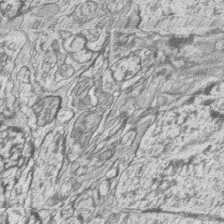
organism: Zebrafish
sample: synaptic ribbons in rod cells and cone cells